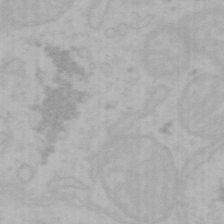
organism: Mouse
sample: Choroid plexus